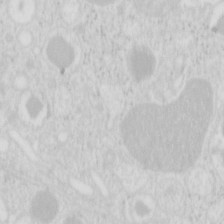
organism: Mouse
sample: Pancreas